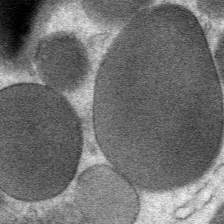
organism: Mouse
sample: Mouse Salivary gland